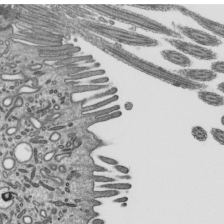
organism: Mouse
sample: Mouse epididymis efferent ductule cilia